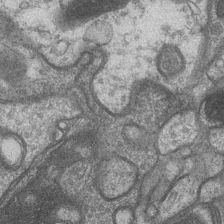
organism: Drosophila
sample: Optic medulla